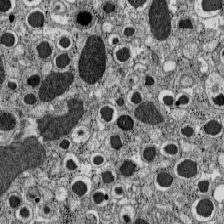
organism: C57BL Mouse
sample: Pancreatic islet